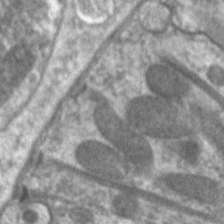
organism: C. elegans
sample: Pharynx